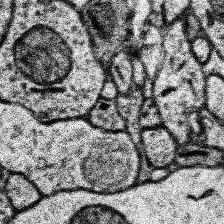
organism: Human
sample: Temporal Lobe